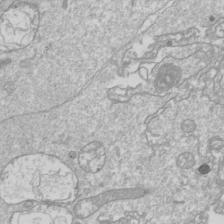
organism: Drosophila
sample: Cell division; meiosis; drosophila spermatocytes